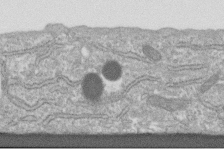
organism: Human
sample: Centriole in fibroblast cells